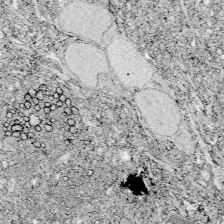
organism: Zebrafish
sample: Whole-Brain